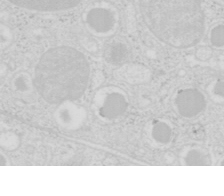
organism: Mouse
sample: Pancreas